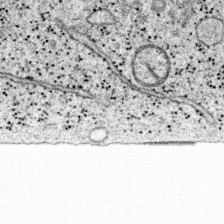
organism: Human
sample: HeLa cells